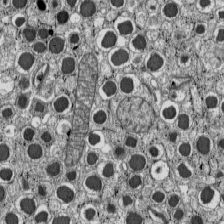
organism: C57BL Mouse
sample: Pancreatic islet